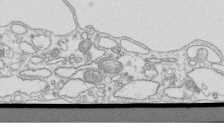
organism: Mouse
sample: Macrophages